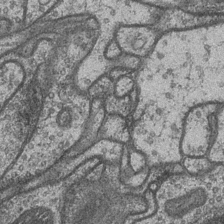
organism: Drosophila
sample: Optic medulla